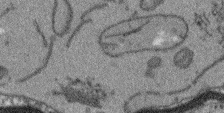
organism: Arabidopsis thaliana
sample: Root tip